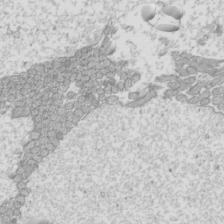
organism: Mouse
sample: Cilia; mouse epididymis